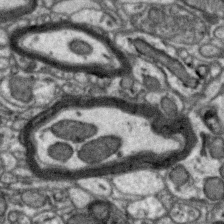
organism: Zebra finch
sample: Brain